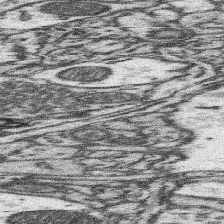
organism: Mouse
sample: Somatosensory cortex neuropil